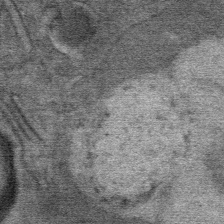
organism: Mouse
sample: Mouse Salivary gland